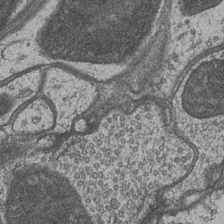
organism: Drosophila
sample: Optic medulla